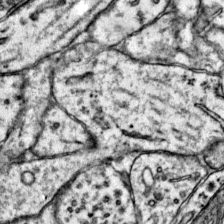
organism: Mouse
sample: Primary visual cortex